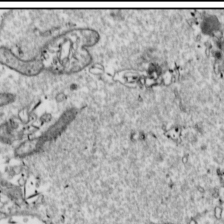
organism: Drosophila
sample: Cell division; meiosis; drosophila spermatocytes